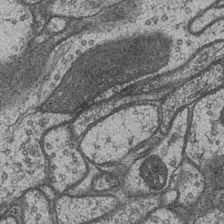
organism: Drosophila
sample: Optic medulla